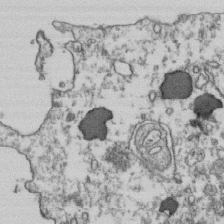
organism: Human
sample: Activated Jurkat CD4+ T cells